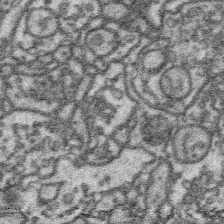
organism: Platynereis dumerilii